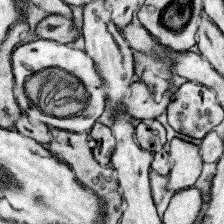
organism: Mouse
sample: Somatosensory cortex neuropil